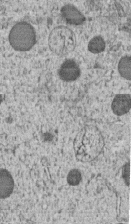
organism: C. elegans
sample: C. elegans embryo early stage